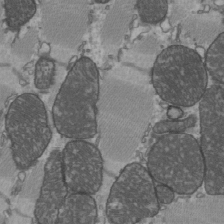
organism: C57BL Mouse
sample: Heart